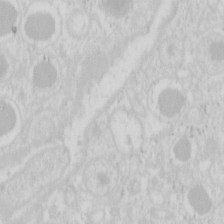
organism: Mouse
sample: Pancreas